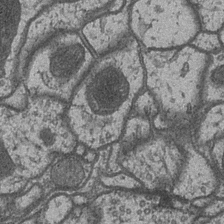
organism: Drosophila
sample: Optic medulla